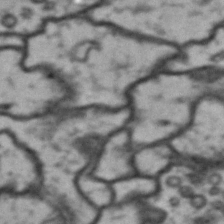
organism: Drosophila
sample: Brain